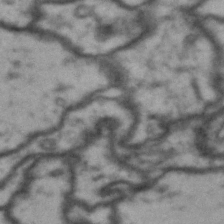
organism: Drosophila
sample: Brain